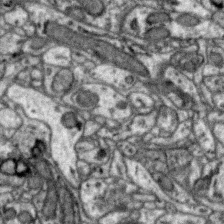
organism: Zebra finch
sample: Brain